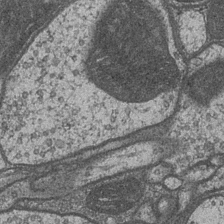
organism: Drosophila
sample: Optic medulla